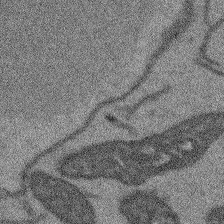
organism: Arabidopsis thaliana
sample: Root tip